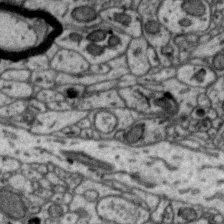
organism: Zebra finch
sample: Brain